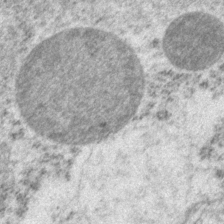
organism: P. pacificus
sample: Pharynx